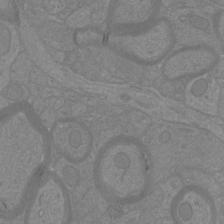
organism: Mouse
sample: Cortical neurons